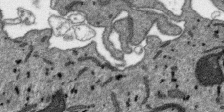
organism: Human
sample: Lung epithelial cells, uninfected (mock) control